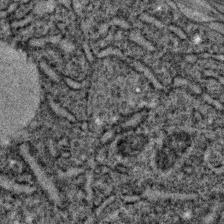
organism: C. elegans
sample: C. elegans embryo